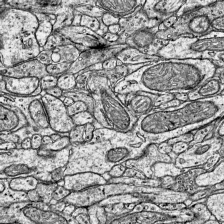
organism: Mouse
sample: Visual Cortex